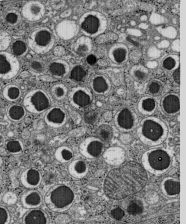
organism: C57BL Mouse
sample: Pancreatic islet